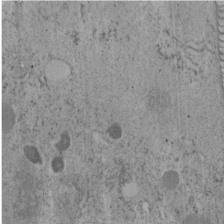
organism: C. elegans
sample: C. elegans embryo early stage